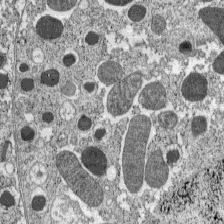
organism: C57BL Mouse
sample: Pancreatic islet